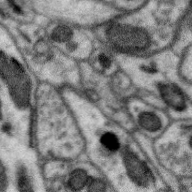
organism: Zebra finch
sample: Brain